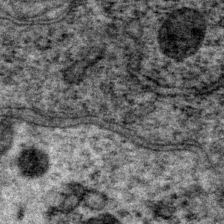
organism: P. pacificus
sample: Pharynx